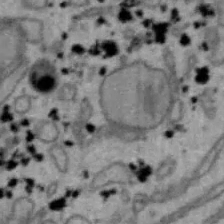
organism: Mouse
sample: Liver